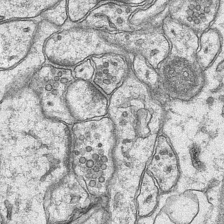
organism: Mouse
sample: CA1 Hippocampus